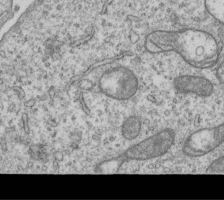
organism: Human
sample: MDA-MB-231 cells